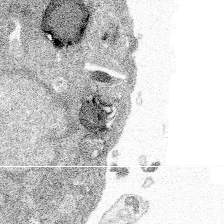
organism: Spongilla lacustris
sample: Multiple